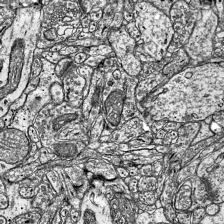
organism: Mouse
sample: Visual Cortex